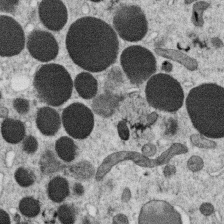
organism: C. elegans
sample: C. elegans oocyte; sperm cells